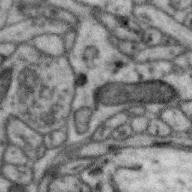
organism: Zebra finch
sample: Brain